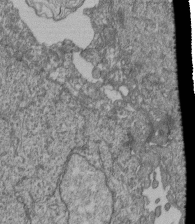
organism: Human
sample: Retinal organoid Rod and Cone cells